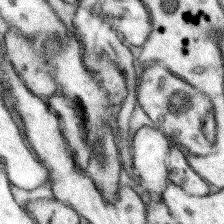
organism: Mouse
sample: Somatosensory cortex neuropil